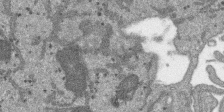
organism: Human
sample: Lung epithelial cells infected with SARS-CoV-2